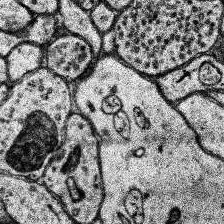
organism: Human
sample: Temporal Lobe